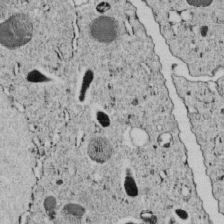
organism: C. elegans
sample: C. elegans embryo early stage